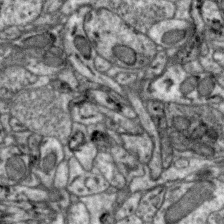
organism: Zebra finch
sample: Brain